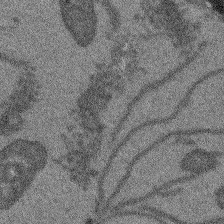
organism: Arabidopsis thaliana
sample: Root tip